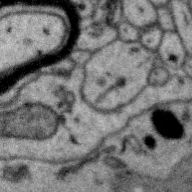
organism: Zebra finch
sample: Brain